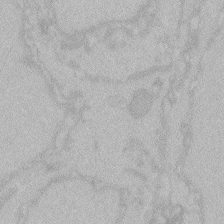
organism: Zebrafish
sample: Macrophage infected with Toxoplasma gondii